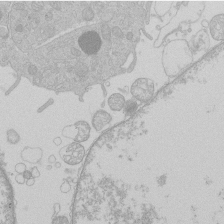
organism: Human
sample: Macrophage cells